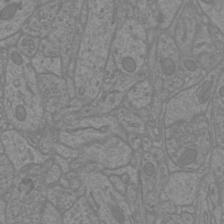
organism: Mouse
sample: Cortical neurons